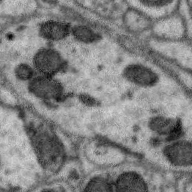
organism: Zebra finch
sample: Brain